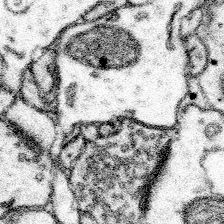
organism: Mouse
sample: Somatosensory cortex neuropil